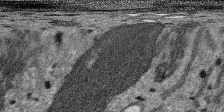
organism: Human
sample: Lung epithelial cells infected with SARS-CoV-2